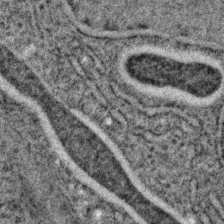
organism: C. elegans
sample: C. elegans embryo